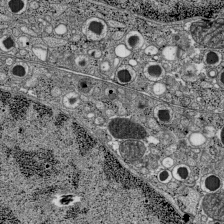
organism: C57BL Mouse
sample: Pancreatic islet